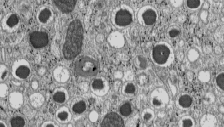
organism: C57BL Mouse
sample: Pancreatic islet